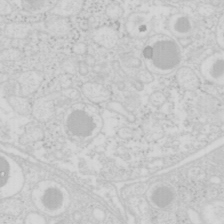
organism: Mouse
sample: Pancreas